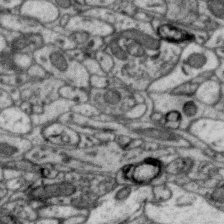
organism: Zebra finch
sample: Brain